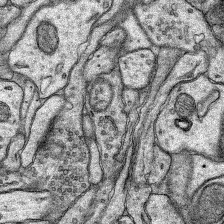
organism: Rat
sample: Hippocampus